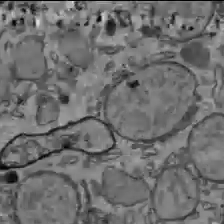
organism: C57BL Mouse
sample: Liver